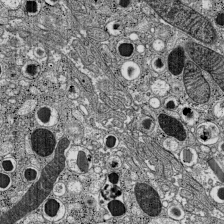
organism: C57BL Mouse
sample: Pancreatic islet